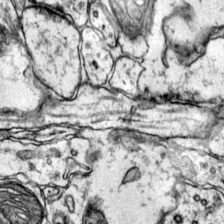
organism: Mouse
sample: Primary visual cortex